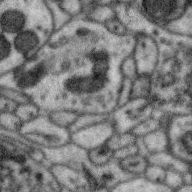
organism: Zebra finch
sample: Brain